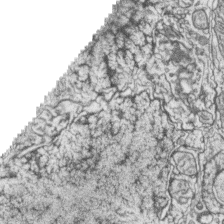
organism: Zebrafish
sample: synaptic ribbons in rod cells and cone cells